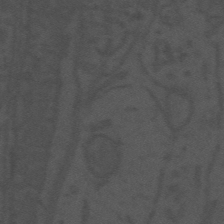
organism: Mouse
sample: Suprachiasmatic nucleus